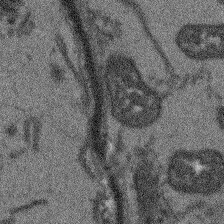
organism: Arabidopsis thaliana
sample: Root tip